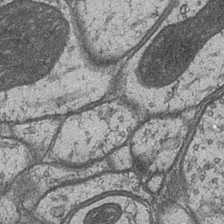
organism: Drosophila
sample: Optic medulla